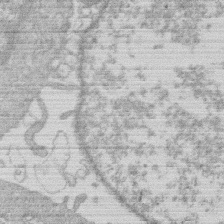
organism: Human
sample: Macrophage cells